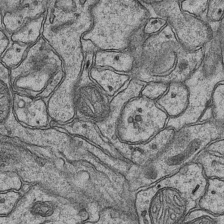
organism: Mouse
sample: CA1 Hippocampus